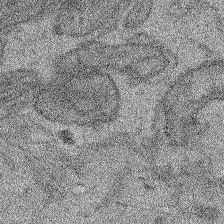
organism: Human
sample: HeLa cells